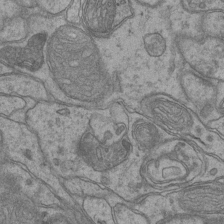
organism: Mouse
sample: CA1 Hippocampus